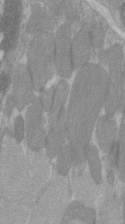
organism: C57BL Mouse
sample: Tibialis anterior muscle cell